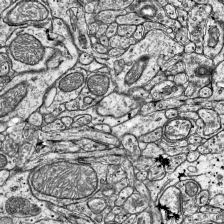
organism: Mouse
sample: Visual Cortex